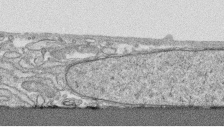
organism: Human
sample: CRL-1474